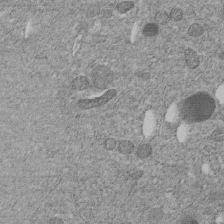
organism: C. elegans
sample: C. elegans embryo early stage